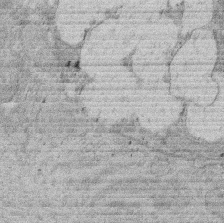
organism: Rat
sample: Salivary granule